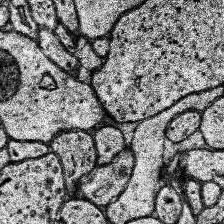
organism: Human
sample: Temporal Lobe